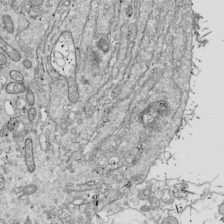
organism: Drosophila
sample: Cell division; meiosis; drosophila spermatocytes